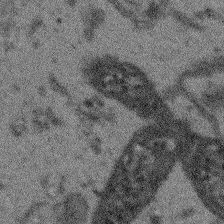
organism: Arabidopsis thaliana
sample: Root tip